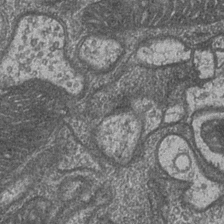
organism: Drosophila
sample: Optic medulla